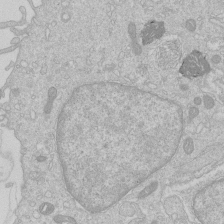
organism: Human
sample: Macrophage cells